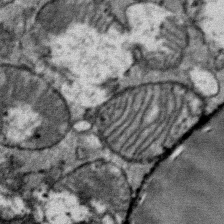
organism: Mouse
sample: Mouse Salivary gland